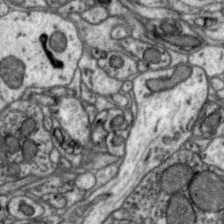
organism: Zebra finch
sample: Brain